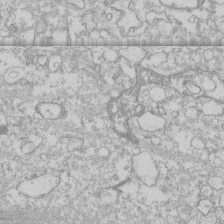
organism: Human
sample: CRL-1474